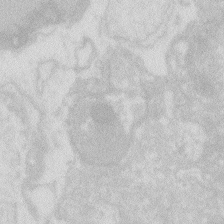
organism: Zebrafish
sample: Macrophage